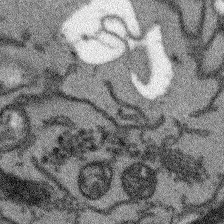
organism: Arabidopsis thaliana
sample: Root tip